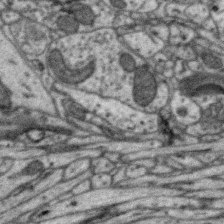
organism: Zebra finch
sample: Brain